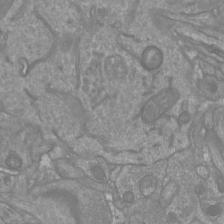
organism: Mouse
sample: Cortical neurons